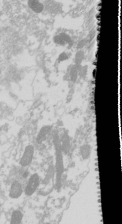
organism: Drosophila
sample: Cell division; meiosis; drosophila spermatocytes